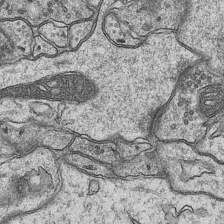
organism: Mouse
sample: CA1 Hippocampus